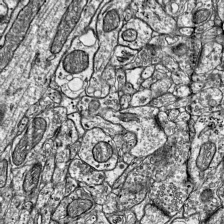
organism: Mouse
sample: Visual Cortex